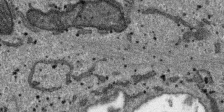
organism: Human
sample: Lung epithelial cells, uninfected (mock) control